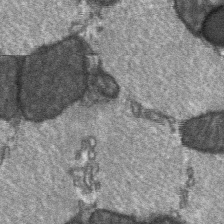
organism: C57BL Mouse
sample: Soleus